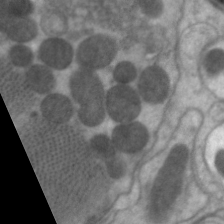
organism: C. elegans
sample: Pharynx